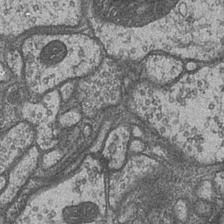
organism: Drosophila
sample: Optic medulla